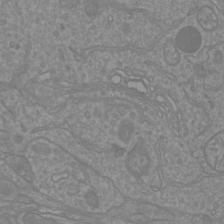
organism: Mouse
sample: Cortical neurons